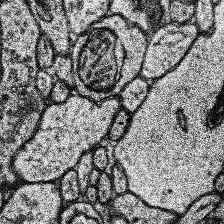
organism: Human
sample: Temporal Lobe